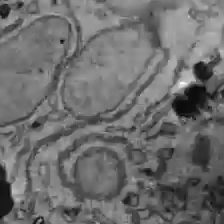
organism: C57BL Mouse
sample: Liver